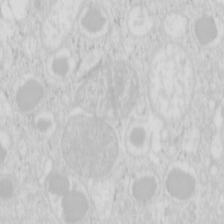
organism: Mouse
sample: Pancreas